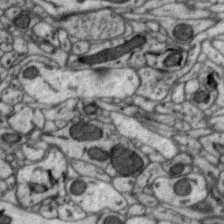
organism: Zebra finch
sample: Brain